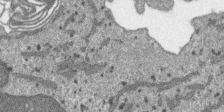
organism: Human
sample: Lung epithelial cells infected with SARS-CoV-2